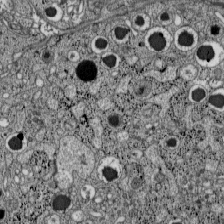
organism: C57BL Mouse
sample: Pancreatic islet